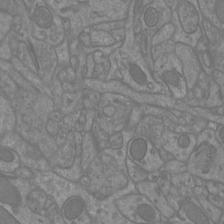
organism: Mouse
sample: Cortical neurons